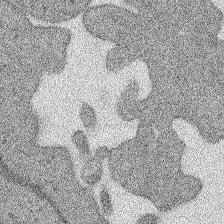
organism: Human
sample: HeLa cells